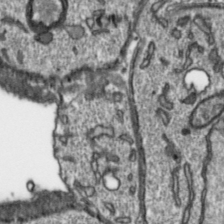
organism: Toxoplasma gondii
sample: Parasites in a vacuole inside a host cell